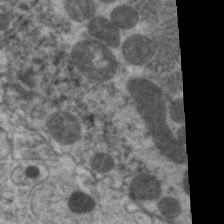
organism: C. elegans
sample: Pharynx